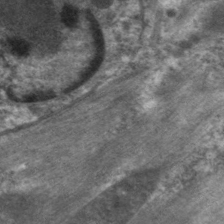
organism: C. elegans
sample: Pharynx